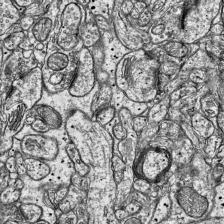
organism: Mouse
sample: Visual Cortex